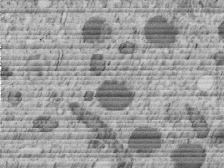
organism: C. elegans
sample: C. elegans embryo early stage